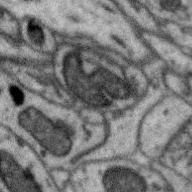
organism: Zebra finch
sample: Brain